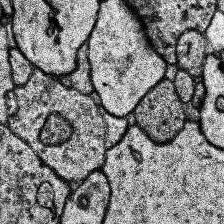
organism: Human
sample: Temporal Lobe